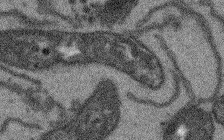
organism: Arabidopsis thaliana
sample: Root tip